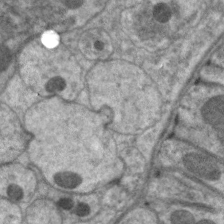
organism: C. elegans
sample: Pharynx